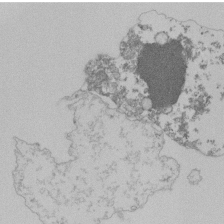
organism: Mouse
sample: Activated Pmel transgenic CD8+ T Cells